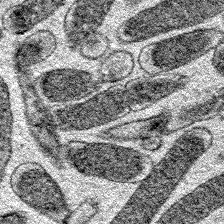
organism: E. coli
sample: E. Coli Bacteria